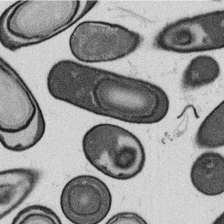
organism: B. subtilis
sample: Bacterial spore